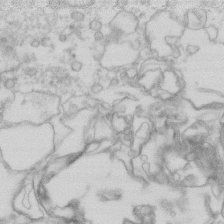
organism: Human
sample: Fibroblast cells